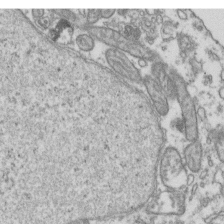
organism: Human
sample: Activated Jurkat CD4+ T cells